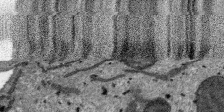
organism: Human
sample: Lung epithelial cells, uninfected (mock) control